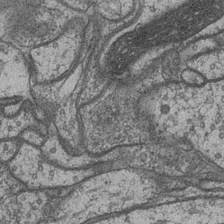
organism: Drosophila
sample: Optic medulla